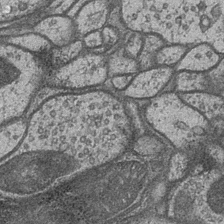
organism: Drosophila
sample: Optic medulla